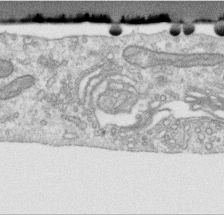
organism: Human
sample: Centriole in RPE cells